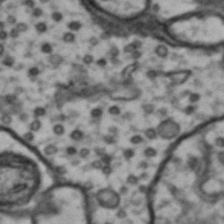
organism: Drosophila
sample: Brain